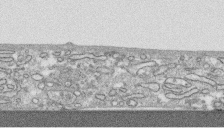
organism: Human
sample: CRL-1474